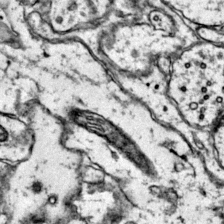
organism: Mouse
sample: Primary visual cortex